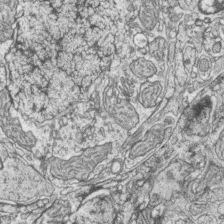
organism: Zebrafish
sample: synaptic ribbons in rod cells and cone cells